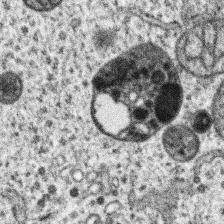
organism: Human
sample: HeLa cells